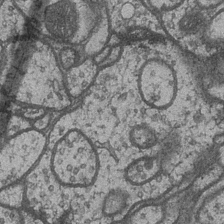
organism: Drosophila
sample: Optic medulla